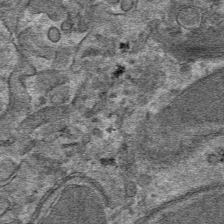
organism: Mouse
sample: Mouse hepatocytes